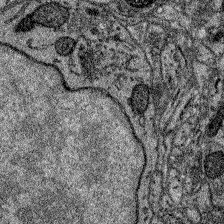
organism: Zebrafish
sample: Larval olfactory bulb